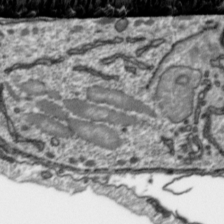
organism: Toxoplasma gondii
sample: Parasites in a vacuole inside a host cell